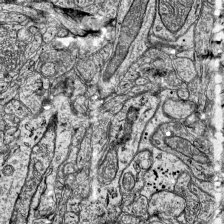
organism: Mouse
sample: Visual Cortex